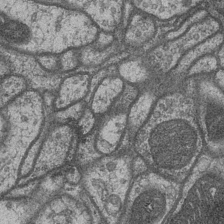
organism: Drosophila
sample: Optic medulla